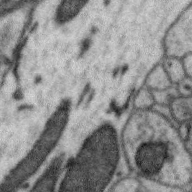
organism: Zebra finch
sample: Brain